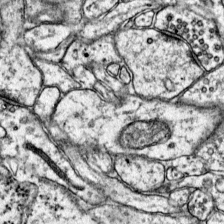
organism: Mouse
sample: Primary visual cortex